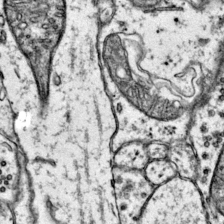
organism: Mouse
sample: Primary visual cortex